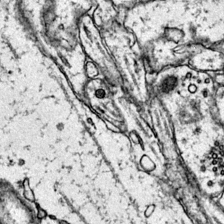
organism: Mouse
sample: Primary visual cortex